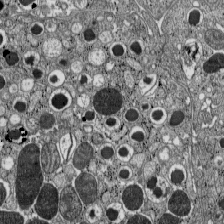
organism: C57BL Mouse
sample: Pancreatic islet